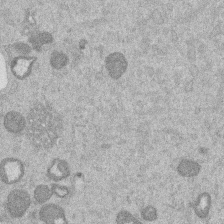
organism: Mouse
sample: Dividing mouse embryo 1 cell stage